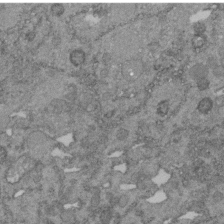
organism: C. elegans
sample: C. elegans embryo early stage